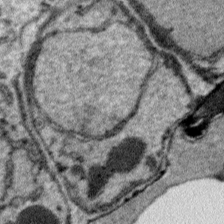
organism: Plasmodium falciparum